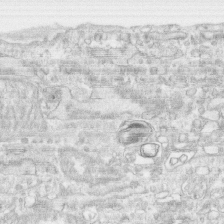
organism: Human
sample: CRL-1474